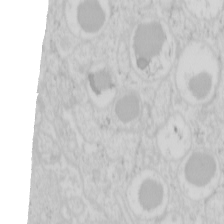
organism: Mouse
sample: Pancreas